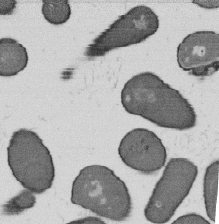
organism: B. subtilis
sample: Bacterial spore